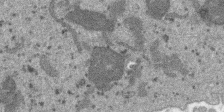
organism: Human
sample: Lung epithelial cells infected with SARS-CoV-2